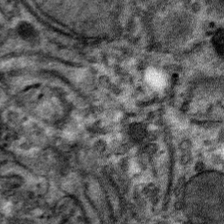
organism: Mouse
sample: Mouse hepatocytes